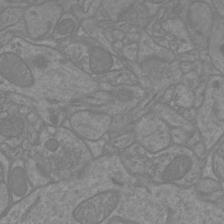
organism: Mouse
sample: Cortical neurons